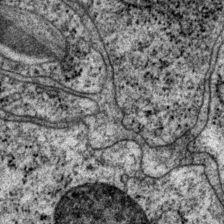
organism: P. pacificus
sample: Pharynx